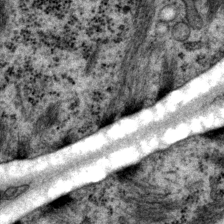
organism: P. pacificus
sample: Pharynx